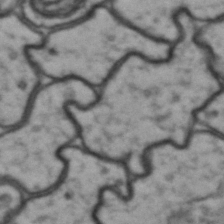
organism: Drosophila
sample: Brain